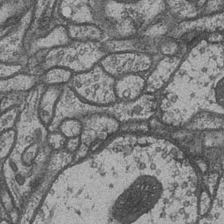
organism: Drosophila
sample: Optic medulla